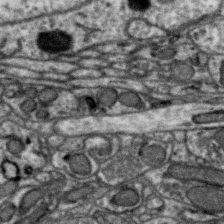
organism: Zebra finch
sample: Brain